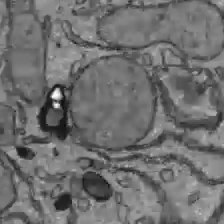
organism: C57BL Mouse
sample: Liver